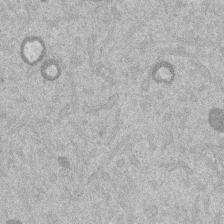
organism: Mouse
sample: Dividing mouse embryo 1 cell stage